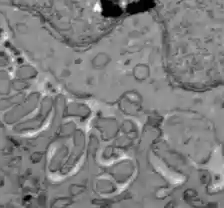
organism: C57BL Mouse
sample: Liver